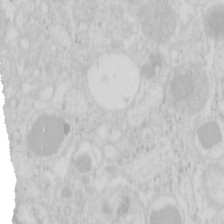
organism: Mouse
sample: Pancreas